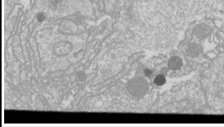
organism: Drosophila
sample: Cell division; meiosis; drosophila spermatocytes